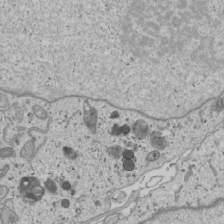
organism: Human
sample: Mitochondria in U2OS cells